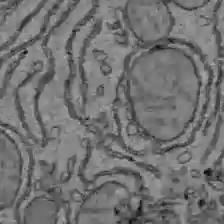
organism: C57BL Mouse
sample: Liver